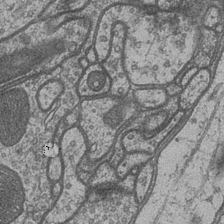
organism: Drosophila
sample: Optic medulla